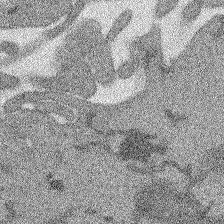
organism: Human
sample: HeLa cells